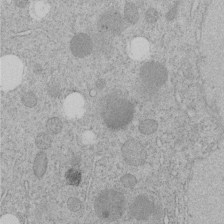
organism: C. elegans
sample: C. elegans embryo early stage